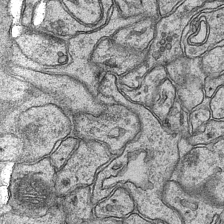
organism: Mouse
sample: CA1 Hippocampus